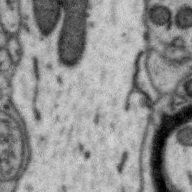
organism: Zebra finch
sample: Brain